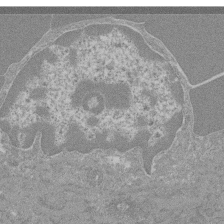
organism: Mouse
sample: Glomerulus